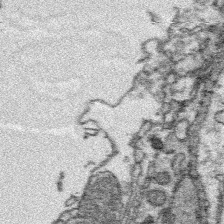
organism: Platynereis dumerilii